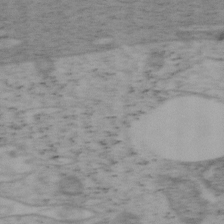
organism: Mouse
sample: OT-I killer T cells with ID8 ovarian cancer cells